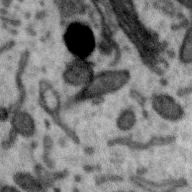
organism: Zebra finch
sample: Brain